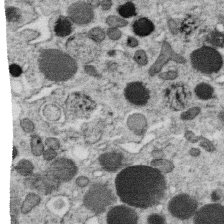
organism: C. elegans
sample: C. elegans oocyte; sperm cells